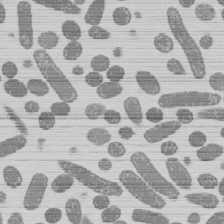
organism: E. coli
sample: Bacterial nucleoid